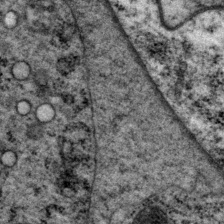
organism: P. pacificus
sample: Pharynx